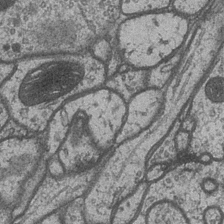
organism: Drosophila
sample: Optic medulla